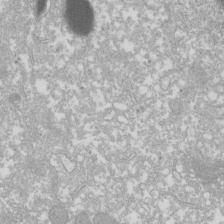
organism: Xenopus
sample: Cilia; centrioles in frog embryo cells